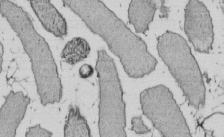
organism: E. coli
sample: Bacterial nucleoid